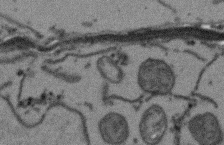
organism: Arabidopsis thaliana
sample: Root tip